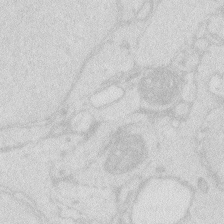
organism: Zebrafish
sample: Macrophage